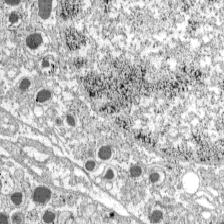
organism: C57BL Mouse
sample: Pancreatic islet